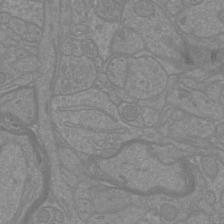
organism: Mouse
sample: Cortical neurons